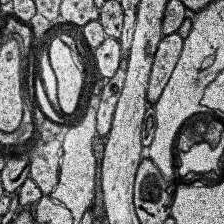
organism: Human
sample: Temporal Lobe